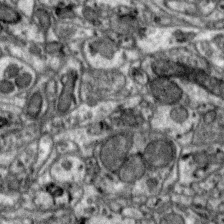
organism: Zebra finch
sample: Brain